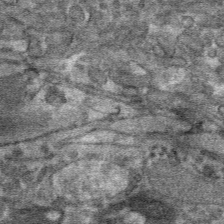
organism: Mouse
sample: Mouse hepatocytes